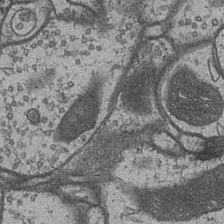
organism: Drosophila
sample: Optic medulla